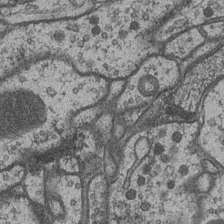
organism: Drosophila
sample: Optic medulla